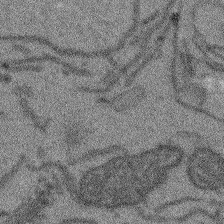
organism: Arabidopsis thaliana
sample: Root tip